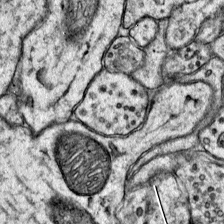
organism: Mouse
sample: Primary visual cortex